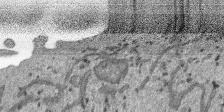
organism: Human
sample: Lung epithelial cells infected with SARS-CoV-2